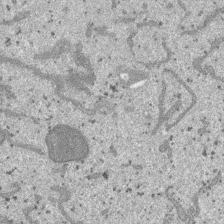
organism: Human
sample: Lung epithelial cells infected with SARS-CoV-2